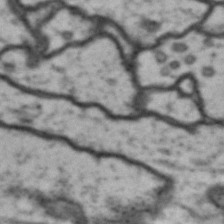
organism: Drosophila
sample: Brain